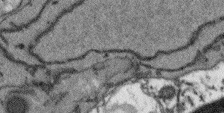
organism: Arabidopsis thaliana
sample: Root tip